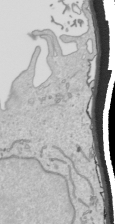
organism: Human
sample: Mitochondria in HCT116 cells